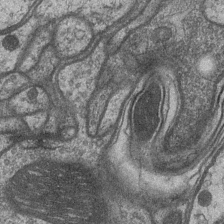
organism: Drosophila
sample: Optic medulla